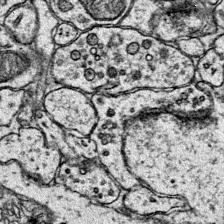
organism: Mouse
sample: Primary visual cortex